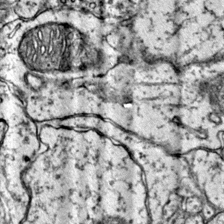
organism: Mouse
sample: Primary visual cortex